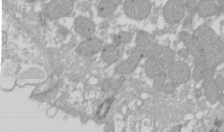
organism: Xenopus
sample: Cilia; centrioles in frog embryo cells